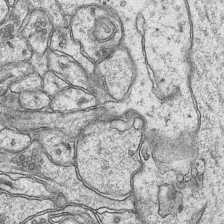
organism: Mouse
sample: CA1 Hippocampus